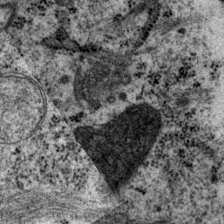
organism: P. pacificus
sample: Pharynx